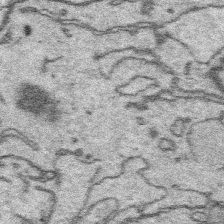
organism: Platynereis dumerilii